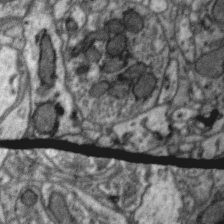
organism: Zebra finch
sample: Brain